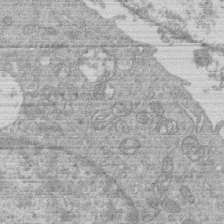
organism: Human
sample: Macrophage cells